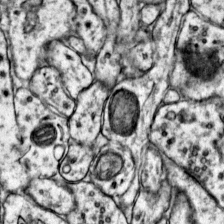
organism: Mouse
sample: Primary visual cortex